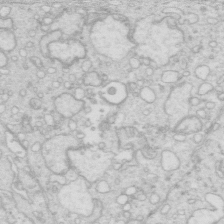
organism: Mouse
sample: Multiciliated cells